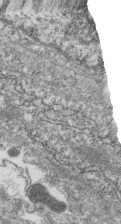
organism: Zebrafish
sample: Cilia; retinal pigment epithelium